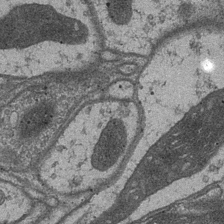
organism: Drosophila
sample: Optic medulla